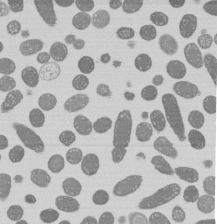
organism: E. coli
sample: Bacterial nucleoid